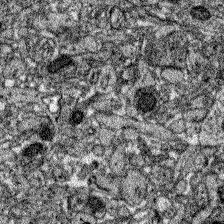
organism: Zebrafish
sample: Larval olfactory bulb